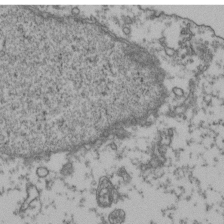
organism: Human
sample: Activated Jurkat CD4+ T cells